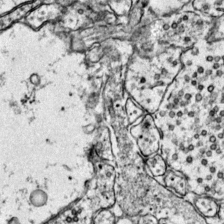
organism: Mouse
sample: Primary visual cortex